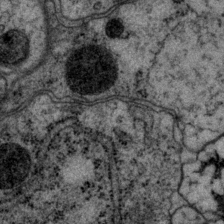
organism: P. pacificus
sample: Pharynx